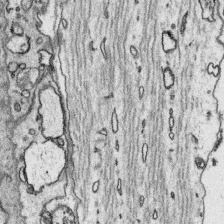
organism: Platynereis dumerilii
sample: Parapodia